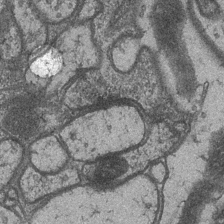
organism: Drosophila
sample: Optic medulla